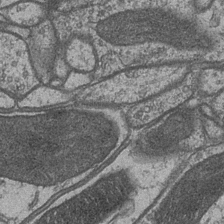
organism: Drosophila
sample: Optic medulla